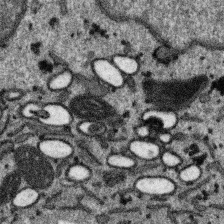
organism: Human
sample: Lung epithelial cells infected with SARS-CoV-2